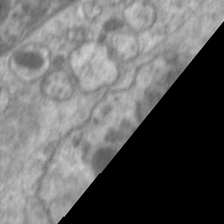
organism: C. elegans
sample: Pharynx